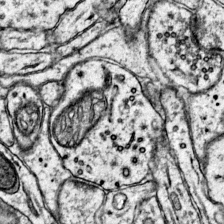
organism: Mouse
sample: Primary visual cortex